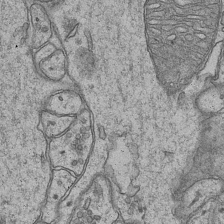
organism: Mouse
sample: CA1 Hippocampus